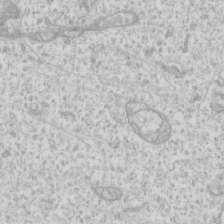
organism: Human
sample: Fibroblast cells